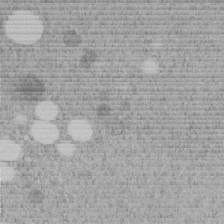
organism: C. elegans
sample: C. elegans embryo early stage